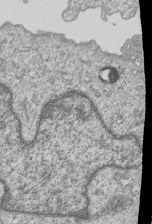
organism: Human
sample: MDA-MB-231 cells